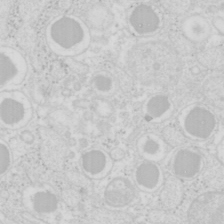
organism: Mouse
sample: Pancreas